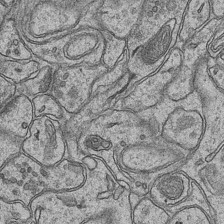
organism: Mouse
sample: CA1 Hippocampus